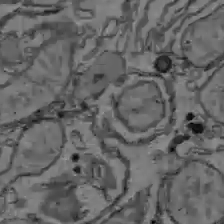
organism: C57BL Mouse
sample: Liver